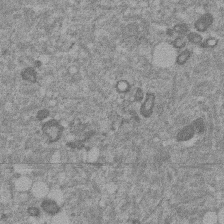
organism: Mouse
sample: Dividing mouse embryo 1 cell stage